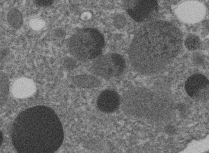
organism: C. elegans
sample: C. elegans embryo early stage